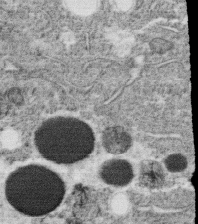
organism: C. elegans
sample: C. elegans oocyte; sperm cells